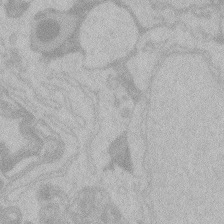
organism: Zebrafish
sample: Macrophage infected with Toxoplasma gondii